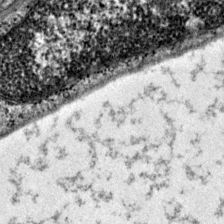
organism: Mouse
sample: Primary visual cortex